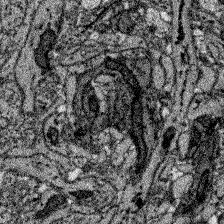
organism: Zebrafish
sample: Larval olfactory bulb